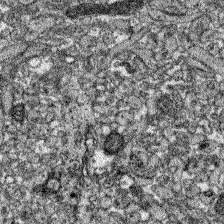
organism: Zebrafish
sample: Larval olfactory bulb